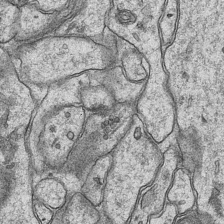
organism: Mouse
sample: CA1 Hippocampus